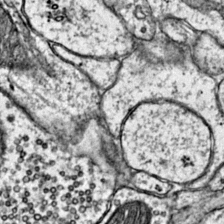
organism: Mouse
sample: Primary visual cortex